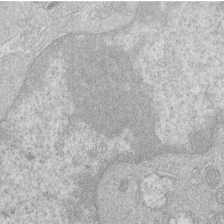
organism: Human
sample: Macrophage cells